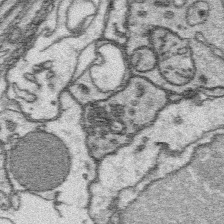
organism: Platynereis dumerilii